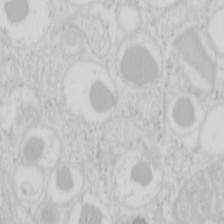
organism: Mouse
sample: Pancreas